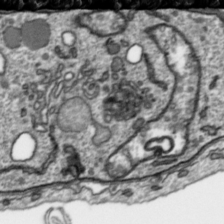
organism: Toxoplasma gondii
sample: Parasites in a vacuole inside a host cell